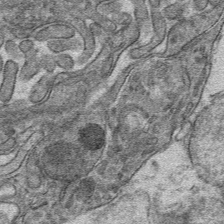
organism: Mouse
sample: Mouse hepatocytes